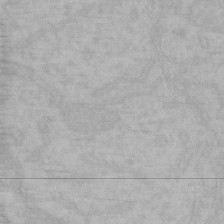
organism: Mouse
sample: Choroid plexus